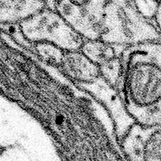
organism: Mouse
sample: Somatosensory cortex neuropil